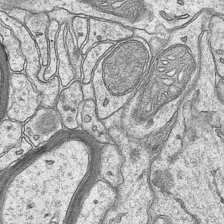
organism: Mouse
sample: CA1 Hippocampus